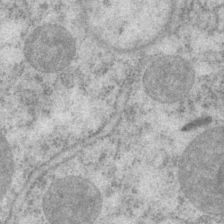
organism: P. pacificus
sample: Pharynx